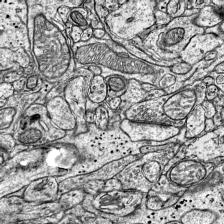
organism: Mouse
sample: Visual Cortex